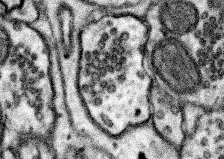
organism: Mouse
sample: Somatosensory cortex neuropil